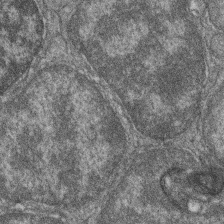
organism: Zebrafish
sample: Cilia; retinal pigment epithelium